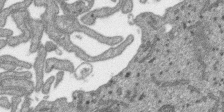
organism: Human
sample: Lung epithelial cells infected with SARS-CoV-2